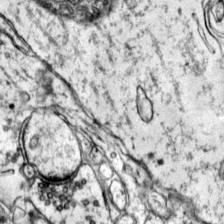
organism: Mouse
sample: Primary visual cortex